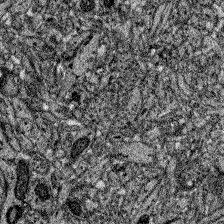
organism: Zebrafish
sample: Larval olfactory bulb